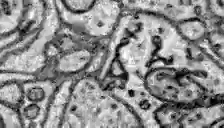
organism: Zebrafish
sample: Brain